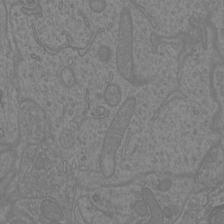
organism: Mouse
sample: Cortical neurons